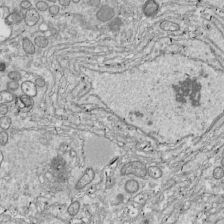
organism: Drosophila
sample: Cell division; meiosis; drosophila spermatocytes